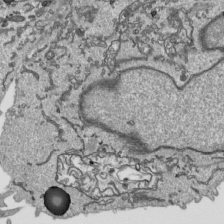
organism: Human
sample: Mitochondria in HCT116 cells